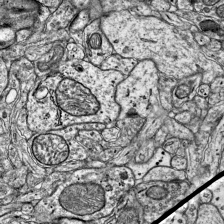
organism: Mouse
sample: Visual Cortex